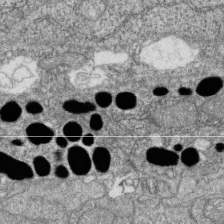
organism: Zebrafish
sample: Cilia; retinal pigment epithelium